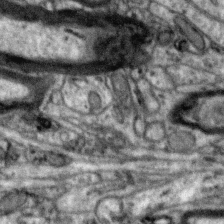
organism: Zebra finch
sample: Brain